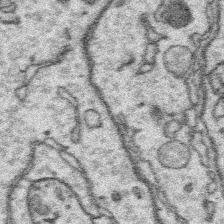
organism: Platynereis dumerilii